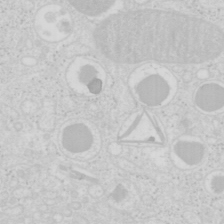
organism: Mouse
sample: Pancreas